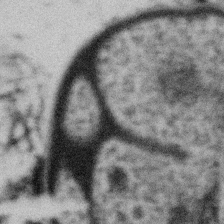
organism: Gemmata obscuriglobus